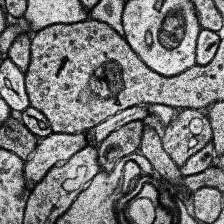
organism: Human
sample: Temporal Lobe